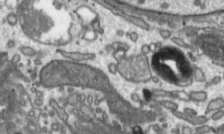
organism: Toxoplasma gondii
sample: Parasites in a vacuole inside a host cell